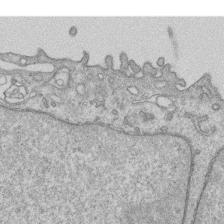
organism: Human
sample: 1205lu cells